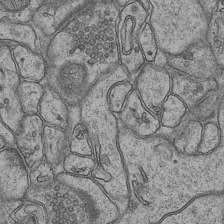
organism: Mouse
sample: CA1 Hippocampus